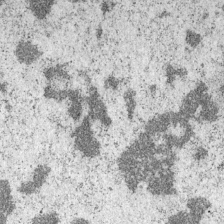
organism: Mouse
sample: OT-I killer T cells with ID8 ovarian cancer cells